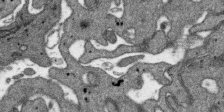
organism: Human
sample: Lung epithelial cells, uninfected (mock) control